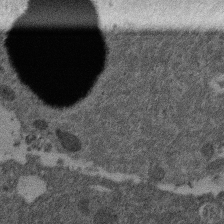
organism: Mouse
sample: Dividing mouse embryo 1 cell stage